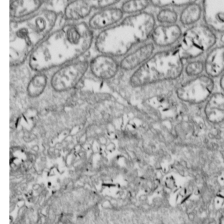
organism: Drosophila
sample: Cell division; meiosis; drosophila spermatocytes